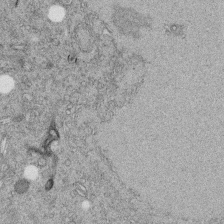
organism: C. elegans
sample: C. elegans embryo early stage